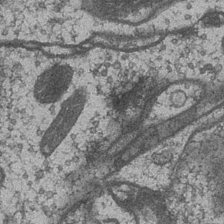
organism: Drosophila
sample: Optic medulla